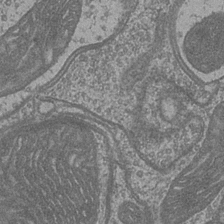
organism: Drosophila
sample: Optic medulla